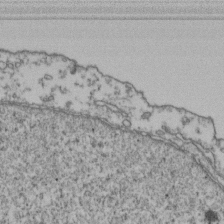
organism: Human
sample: Activated Jurkat CD4+ T cells